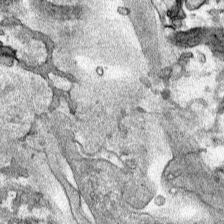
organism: Human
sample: Mitochondria in HCT116 cells